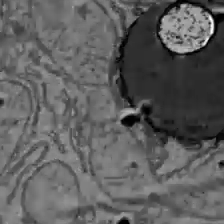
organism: C57BL Mouse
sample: Liver